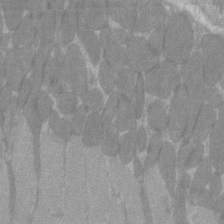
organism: C57BL Mouse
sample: Tibialis anterior muscle cell